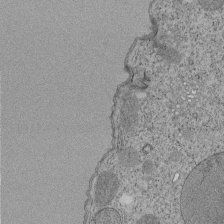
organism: Tetrahymena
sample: Cilia in tetrahymena